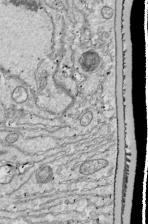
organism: Drosophila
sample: Cell division; meiosis; drosophila spermatocytes